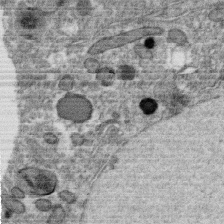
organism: C. elegans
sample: C. elegans oocyte; sperm cells